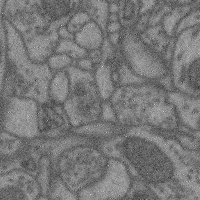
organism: Mouse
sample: Cerebral cortex